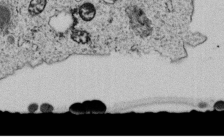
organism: C. elegans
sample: C. elegans embryo early stage